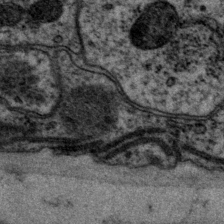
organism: P. pacificus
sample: Pharynx